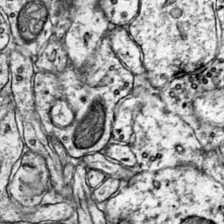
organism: Mouse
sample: Primary visual cortex